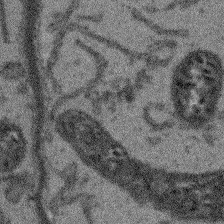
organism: Arabidopsis thaliana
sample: Root tip